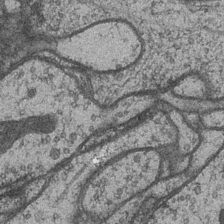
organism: Drosophila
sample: Optic medulla